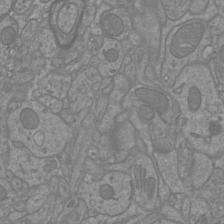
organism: Mouse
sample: Cortical neurons